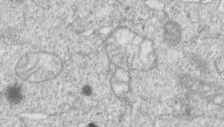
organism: Human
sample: HeLa cell HIV synapse